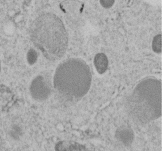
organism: C. elegans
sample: C. elegans embryo early stage